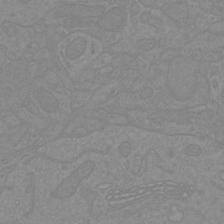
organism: Mouse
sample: Cortical neurons